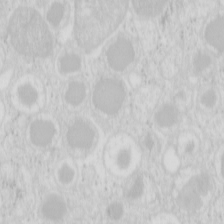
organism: Mouse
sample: Pancreas